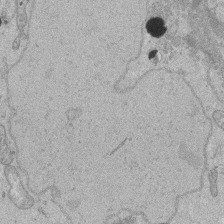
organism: Human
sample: Activated Jurkat CD4+ T cells